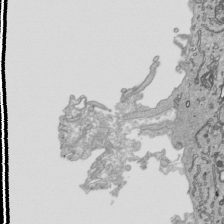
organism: Human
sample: Mitochondria in HCT116 cells